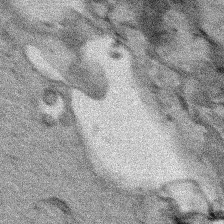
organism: Human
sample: Mitochondria in HCT116 cells